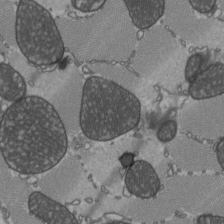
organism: C57BL Mouse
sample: Heart